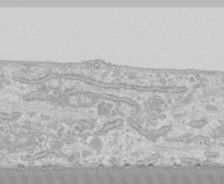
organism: Human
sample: CRL-1474